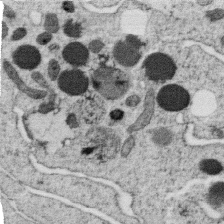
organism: C. elegans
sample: C. elegans oocyte; sperm cells